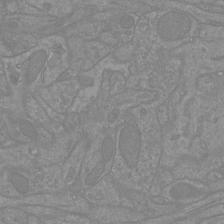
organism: Mouse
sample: Cortical neurons